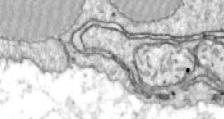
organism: Zebrafish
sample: Actinotrichia fibers